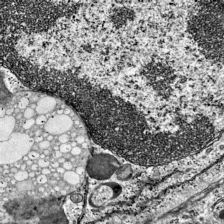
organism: Mouse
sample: Visual Cortex